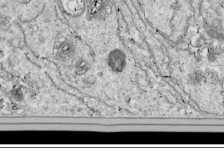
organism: Drosophila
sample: Cell division; meiosis; drosophila spermatocytes